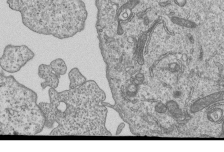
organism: Human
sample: MDA-MB-231 cells